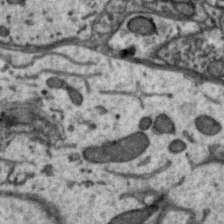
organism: Zebra finch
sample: Brain